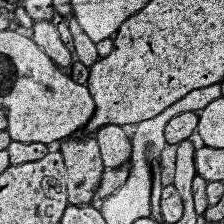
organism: Human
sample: Temporal Lobe